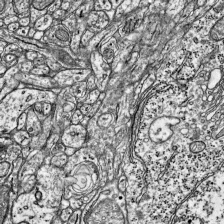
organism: Mouse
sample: Visual Cortex